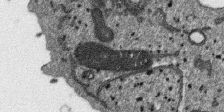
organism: Human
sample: Lung epithelial cells infected with SARS-CoV-2